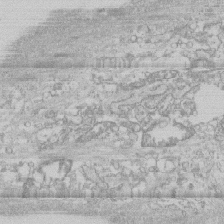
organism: Human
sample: CRL-1474